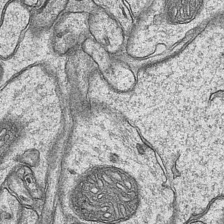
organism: Mouse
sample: CA1 Hippocampus